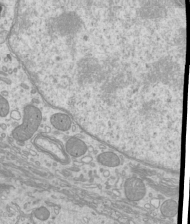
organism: Mouse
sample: Cilia; mouse epididymis